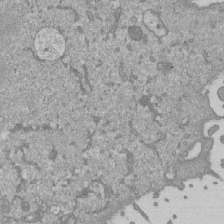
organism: Mouse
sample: ED-1 cell nuclei; centrioles